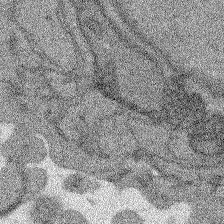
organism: Human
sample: HeLa cells